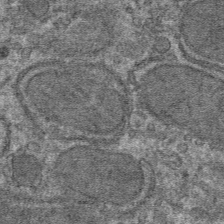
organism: Mouse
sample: Mouse hepatocytes